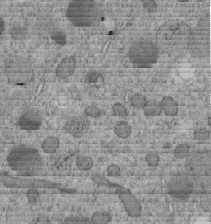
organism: C. elegans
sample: C. elegans embryo early stage